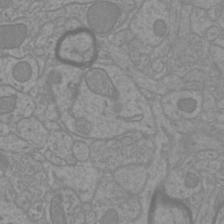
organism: Mouse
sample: Cortical neurons